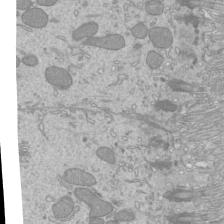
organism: Mouse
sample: Cilia; mouse epididymis